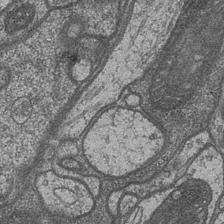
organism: Drosophila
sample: Optic medulla